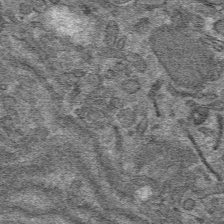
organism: Mouse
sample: Mouse hepatocytes